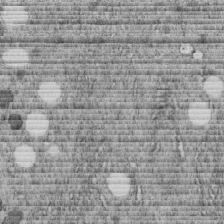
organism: C. elegans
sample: C. elegans embryo early stage